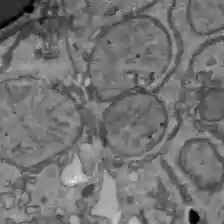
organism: C57BL Mouse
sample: Liver